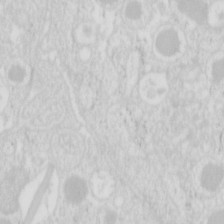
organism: Mouse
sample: Pancreas